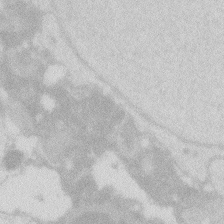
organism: Zebrafish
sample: Macrophage